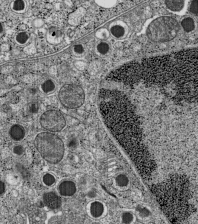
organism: C57BL Mouse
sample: Pancreatic islet